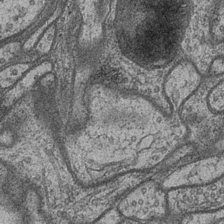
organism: Drosophila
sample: Optic medulla